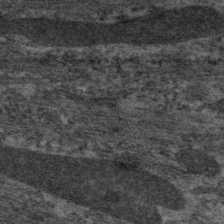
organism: C. elegans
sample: Pharynx